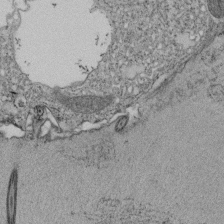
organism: Tetrahymena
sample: Cilia in tetrahymena